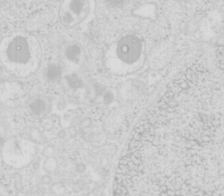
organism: Mouse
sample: Pancreas